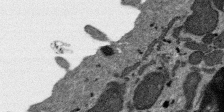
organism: Human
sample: Lung epithelial cells, uninfected (mock) control